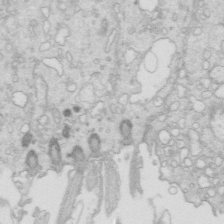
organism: Mouse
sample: Multiciliated cells